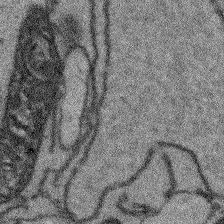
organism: Arabidopsis thaliana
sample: Root tip